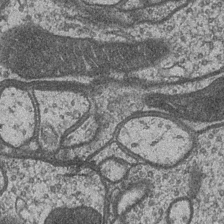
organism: Drosophila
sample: Optic medulla